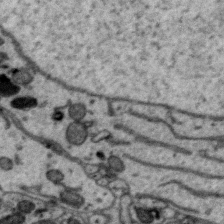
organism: Zebra finch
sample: Brain